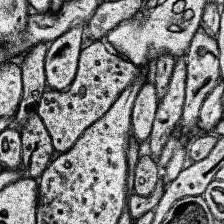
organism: Human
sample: Temporal Lobe